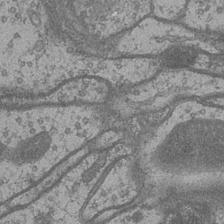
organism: Drosophila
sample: Optic medulla